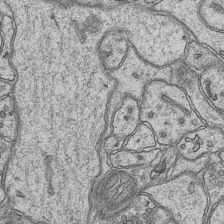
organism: Mouse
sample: CA1 Hippocampus